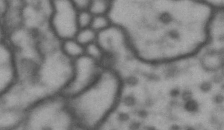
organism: Drosophila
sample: Brain